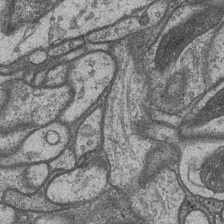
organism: Drosophila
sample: Optic medulla